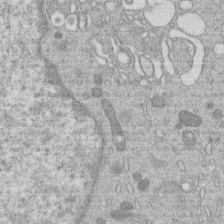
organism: Human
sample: Macrophage cells